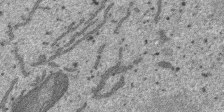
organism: Human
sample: Lung epithelial cells infected with SARS-CoV-2